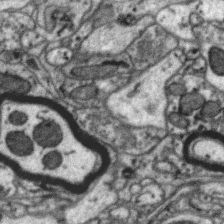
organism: Zebra finch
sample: Brain